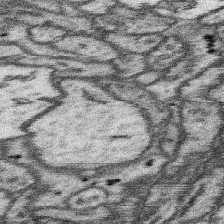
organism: Mouse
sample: Somatosensory cortex neuropil